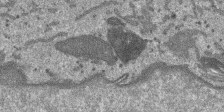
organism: Human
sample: Lung epithelial cells infected with SARS-CoV-2